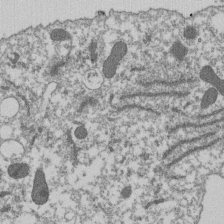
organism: Dictyostelium discoideum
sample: Dictyostelium multivesicular bodies